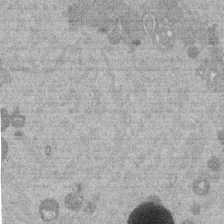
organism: Mouse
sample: Dividing mouse embryo 1 cell stage